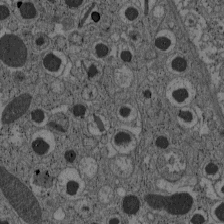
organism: C57BL Mouse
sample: Pancreatic islet